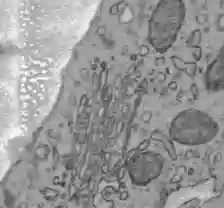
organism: C57BL Mouse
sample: Liver